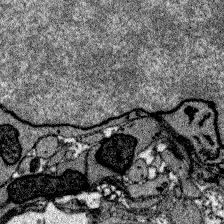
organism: Zebrafish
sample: Larval olfactory bulb